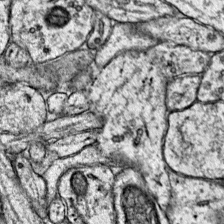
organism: Mouse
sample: Primary visual cortex